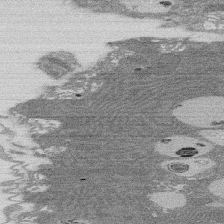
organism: Rat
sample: Salivary granule